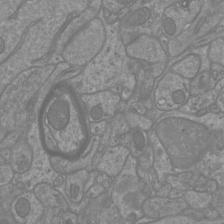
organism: Mouse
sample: Cortical neurons